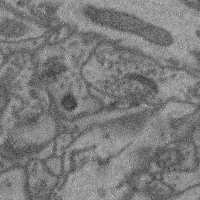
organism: Mouse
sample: Cerebral cortex